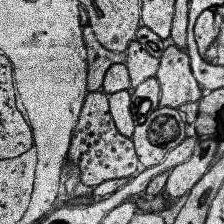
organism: Human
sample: Temporal Lobe